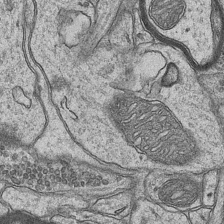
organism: Mouse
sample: CA1 Hippocampus